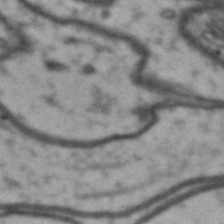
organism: Drosophila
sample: Brain